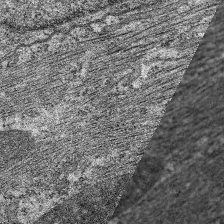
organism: C. elegans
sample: Pharynx